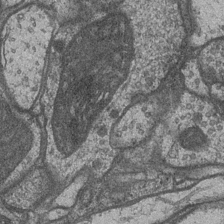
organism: Drosophila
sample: Optic medulla